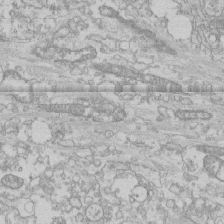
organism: Human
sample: CRL-1474